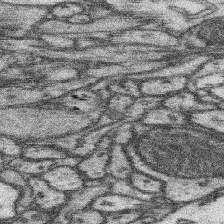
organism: Mouse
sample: Somatosensory cortex neuropil